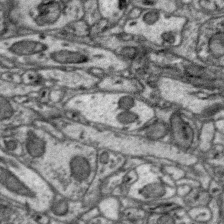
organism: Zebra finch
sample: Brain